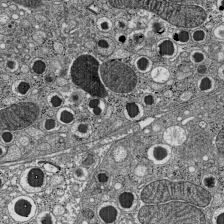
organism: C57BL Mouse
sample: Pancreatic islet